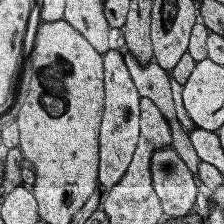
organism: Human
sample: Temporal Lobe